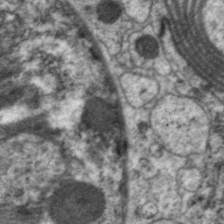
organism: C. elegans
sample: Pharynx